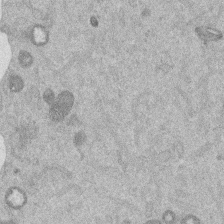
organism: Mouse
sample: Dividing mouse embryo 1 cell stage